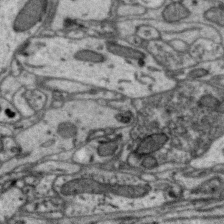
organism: Zebra finch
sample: Brain